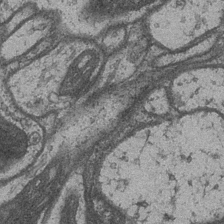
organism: Drosophila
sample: Optic medulla